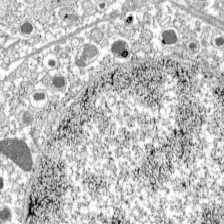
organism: C57BL Mouse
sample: Pancreatic islet